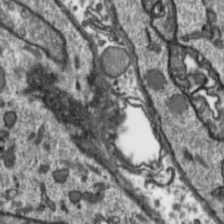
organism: Toxoplasma gondii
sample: Parasites in a vacuole inside a host cell